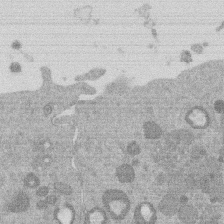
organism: Mouse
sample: Dividing mouse embryo 1 cell stage